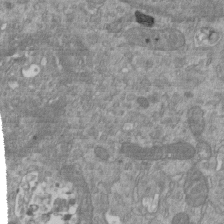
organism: Mouse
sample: ED-1 cell nuclei; centrioles